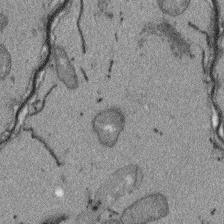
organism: Arabidopsis thaliana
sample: Root tip